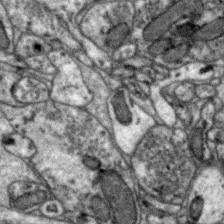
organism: Zebra finch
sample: Brain